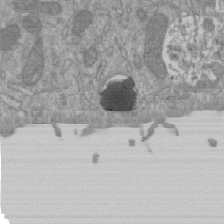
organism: Mouse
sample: ED-1 cell nuclei; centrioles